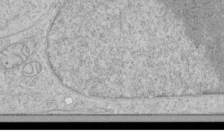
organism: Human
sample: Mitochondria in HCT116 cells